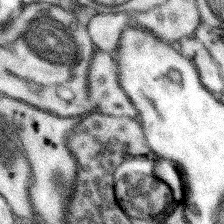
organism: Mouse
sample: Somatosensory cortex neuropil